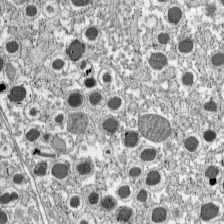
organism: C57BL Mouse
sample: Pancreatic islet